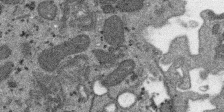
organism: Human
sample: Lung epithelial cells infected with SARS-CoV-2